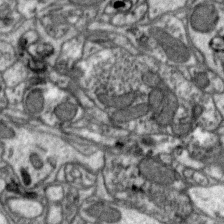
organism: Zebra finch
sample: Brain